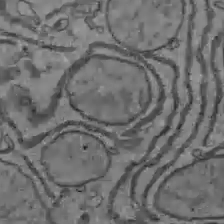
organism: C57BL Mouse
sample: Liver